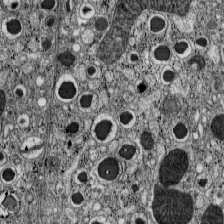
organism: C57BL Mouse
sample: Pancreatic islet